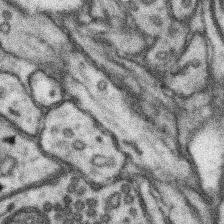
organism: Mouse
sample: Somatosensory cortex neuropil